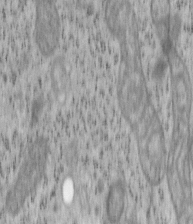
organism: Human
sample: HeLa cells